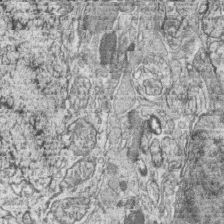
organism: Zebrafish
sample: synaptic ribbons in rod cells and cone cells